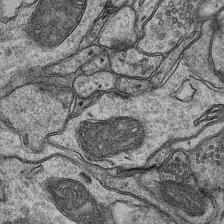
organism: Mouse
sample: CA1 Hippocampus